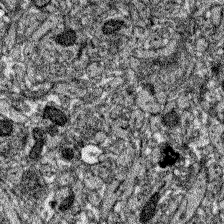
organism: Zebrafish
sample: Larval olfactory bulb